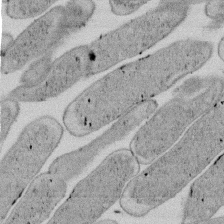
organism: E. coli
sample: Bacterial nucleoid